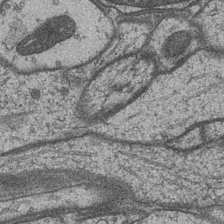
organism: Drosophila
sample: Optic medulla